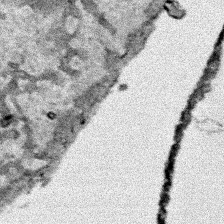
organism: Human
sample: Mitochondria in HCT116 cells